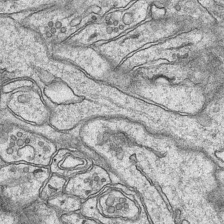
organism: Mouse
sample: CA1 Hippocampus